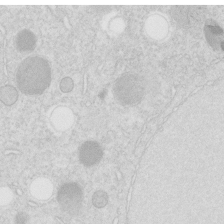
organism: C. elegans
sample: C. elegans embryo early stage